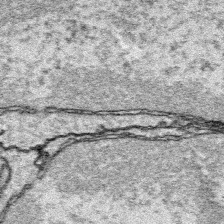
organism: Platynereis dumerilii